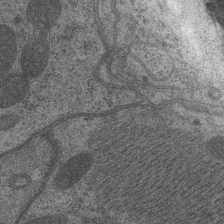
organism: C. elegans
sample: Pharynx